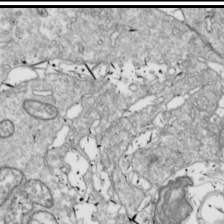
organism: Drosophila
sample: Cell division; meiosis; drosophila spermatocytes